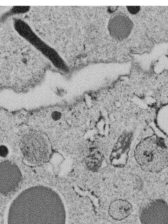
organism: C. elegans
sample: C. elegans embryo early stage